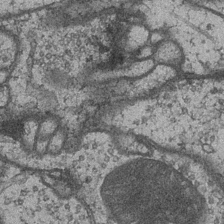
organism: Drosophila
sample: Optic medulla